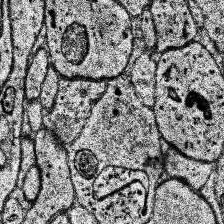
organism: Human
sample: Temporal Lobe